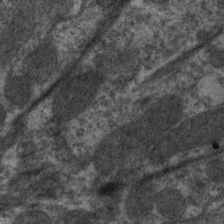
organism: C. elegans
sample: Pharynx